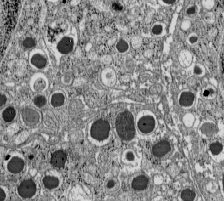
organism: C57BL Mouse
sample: Pancreatic islet